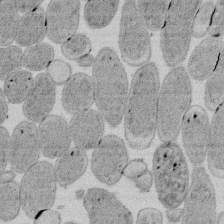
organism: E. coli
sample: Bacterial nucleoid